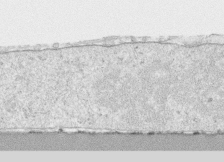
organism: Human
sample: CRL-1474